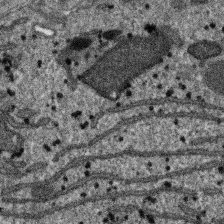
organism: Human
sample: Lung epithelial cells infected with SARS-CoV-2